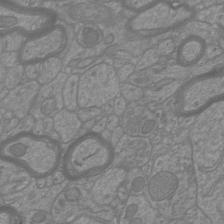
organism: Mouse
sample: Cortical neurons